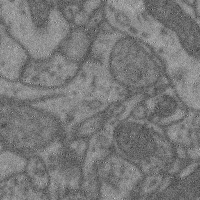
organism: Mouse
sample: Cerebral cortex